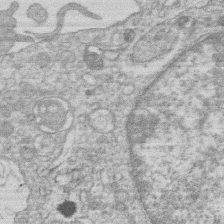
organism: Human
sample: Macrophage cells